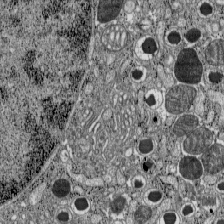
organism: C57BL Mouse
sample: Pancreatic islet